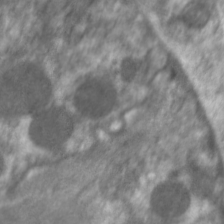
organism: C. elegans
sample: Pharynx